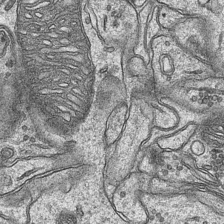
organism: Mouse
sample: CA1 Hippocampus